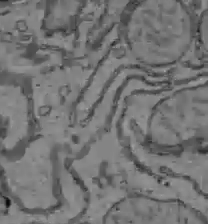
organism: C57BL Mouse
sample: Liver